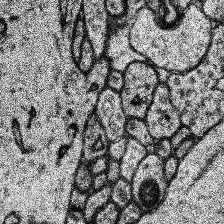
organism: Human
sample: Temporal Lobe